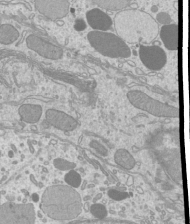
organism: Mouse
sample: Cilia; mouse epididymis